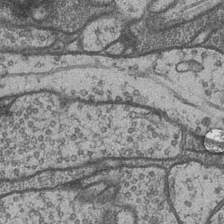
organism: Drosophila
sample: Optic medulla